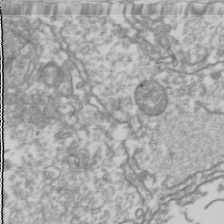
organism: Drosophila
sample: Cell division; meiosis; drosophila spermatocytes